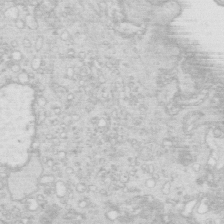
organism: Mouse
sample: Multiciliated cells